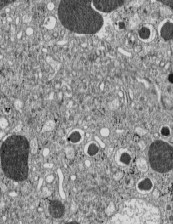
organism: C57BL Mouse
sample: Pancreatic islet